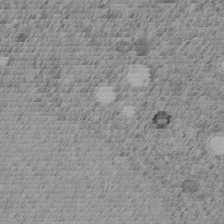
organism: C. elegans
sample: C. elegans embryo early stage